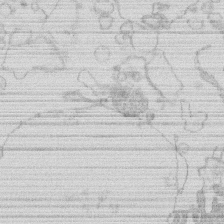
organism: Human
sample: Macrophage cells